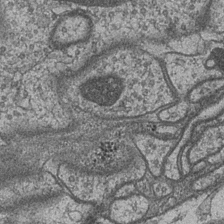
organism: Drosophila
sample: Optic medulla